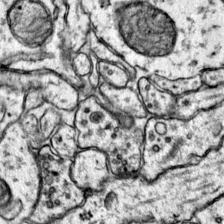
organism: Mouse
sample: Primary visual cortex